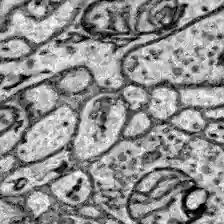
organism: Zebrafish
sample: Brain